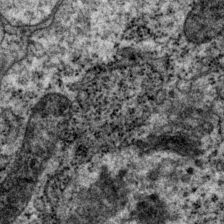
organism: P. pacificus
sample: Pharynx